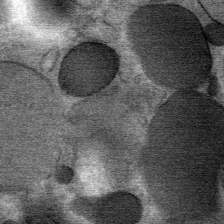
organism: Mouse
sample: Mouse Salivary gland